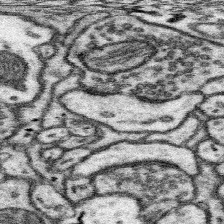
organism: Mouse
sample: Somatosensory cortex neuropil